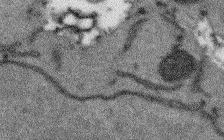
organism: Arabidopsis thaliana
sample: Root tip